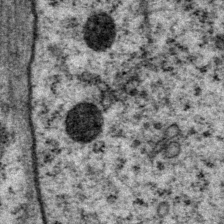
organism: P. pacificus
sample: Pharynx